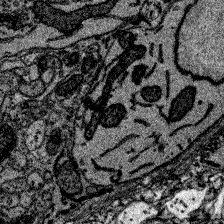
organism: Zebrafish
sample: Larval olfactory bulb